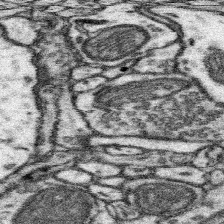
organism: Mouse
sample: Somatosensory cortex neuropil